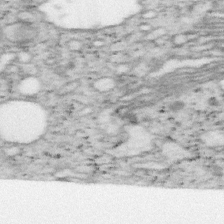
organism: Mouse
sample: OT-I killer T cells with ID8 ovarian cancer cells